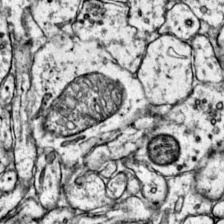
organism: Mouse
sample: Primary visual cortex